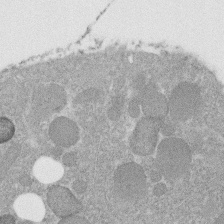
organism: C. elegans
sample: C. elegans embryo early stage